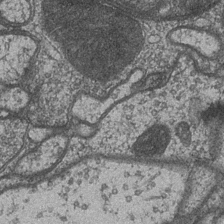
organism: Drosophila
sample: Optic medulla